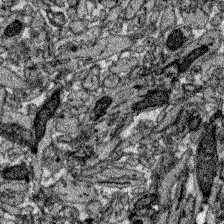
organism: Zebrafish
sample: Larval olfactory bulb